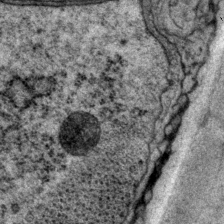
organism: P. pacificus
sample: Pharynx